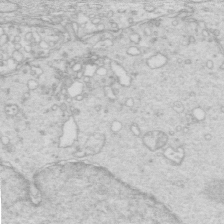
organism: Mouse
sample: Multiciliated cells